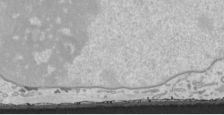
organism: Human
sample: Mitochondria in HCT116 cells